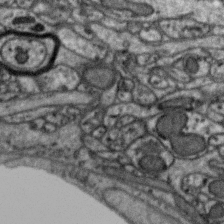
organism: Zebra finch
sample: Brain